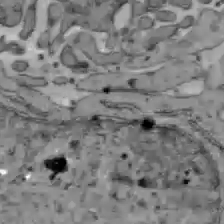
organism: C57BL Mouse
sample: Liver